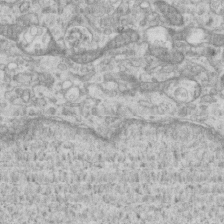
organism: Mouse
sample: Centriole in ependymal cells